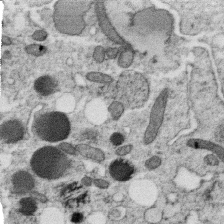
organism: C. elegans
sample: C. elegans oocyte; sperm cells